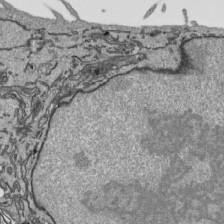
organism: Human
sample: Mitochondria in HCT116 cells